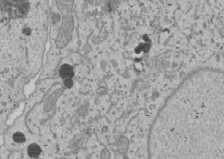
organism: Human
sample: Mitochondria in U2OS cells